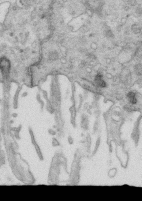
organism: Mouse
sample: Multiciliated cells